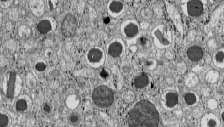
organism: C57BL Mouse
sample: Pancreatic islet